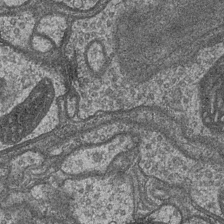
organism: Drosophila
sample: Optic medulla